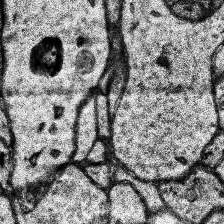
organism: Human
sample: Temporal Lobe